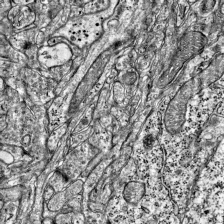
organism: Mouse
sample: Visual Cortex